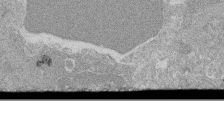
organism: Mouse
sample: Glomerulus